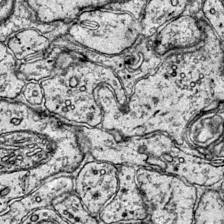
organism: Mouse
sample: Primary visual cortex